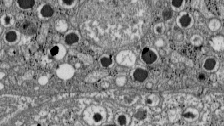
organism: C57BL Mouse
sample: Pancreatic islet